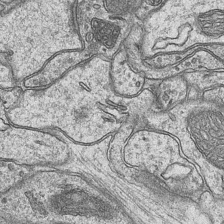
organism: Mouse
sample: CA1 Hippocampus